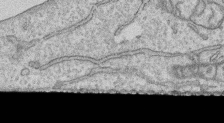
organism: Human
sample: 1205lu cells